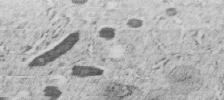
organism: C. elegans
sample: C. elegans embryo early stage